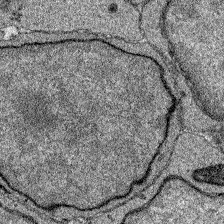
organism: Zebrafish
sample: Larval olfactory bulb